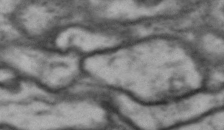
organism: Drosophila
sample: Brain